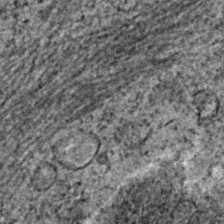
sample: Trachea